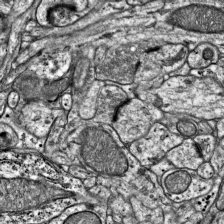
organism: Mouse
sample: Visual Cortex